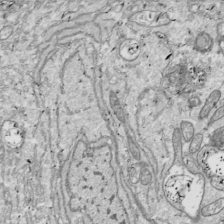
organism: Drosophila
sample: Cell division; meiosis; drosophila spermatocytes